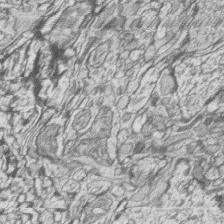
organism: Zebrafish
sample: synaptic ribbons in rod cells and cone cells